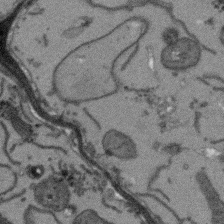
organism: Arabidopsis thaliana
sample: Root tip